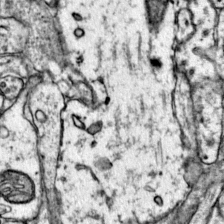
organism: Mouse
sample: Primary visual cortex